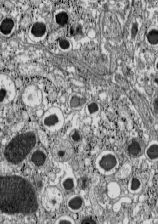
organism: C57BL Mouse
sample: Pancreatic islet